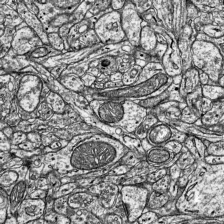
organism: Mouse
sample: Visual Cortex